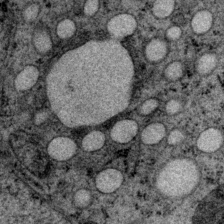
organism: P. pacificus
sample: Pharynx